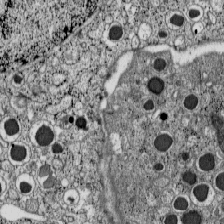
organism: C57BL Mouse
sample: Pancreatic islet